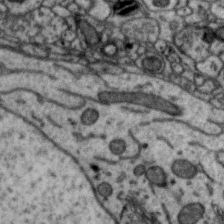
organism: Zebra finch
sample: Brain